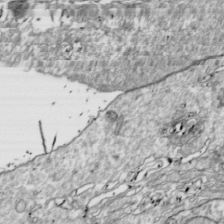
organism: Drosophila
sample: Cell division; meiosis; drosophila spermatocytes